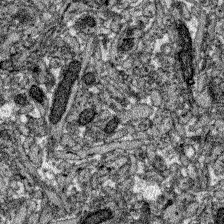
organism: Zebrafish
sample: Larval olfactory bulb